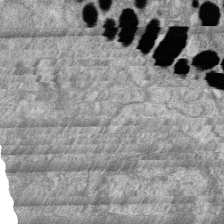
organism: Zebrafish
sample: Cilia; retinal pigment epithelium